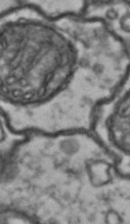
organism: Drosophila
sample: Brain